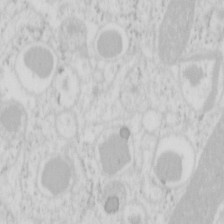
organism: Mouse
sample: Pancreas